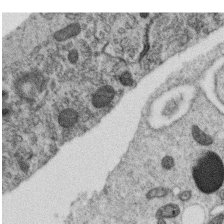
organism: C. elegans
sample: C. elegans oocyte; sperm cells